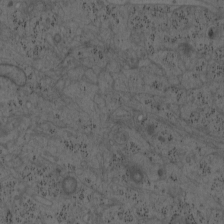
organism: Mouse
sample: OT-I killer T cells with ID8 ovarian cancer cells